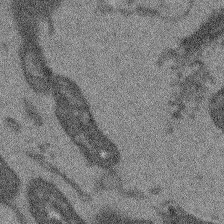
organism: Arabidopsis thaliana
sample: Root tip